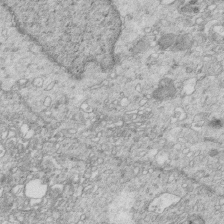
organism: Mouse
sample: Multiciliated cells